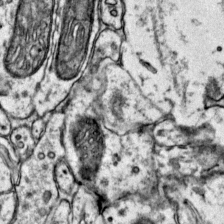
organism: Mouse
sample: Primary visual cortex